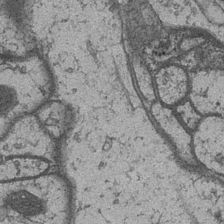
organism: Drosophila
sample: Optic medulla